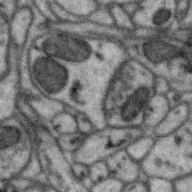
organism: Zebra finch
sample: Brain